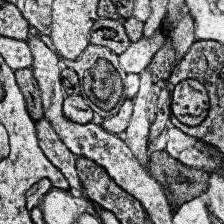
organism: Human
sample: Temporal Lobe